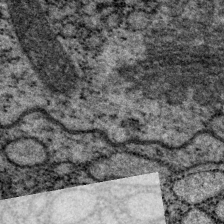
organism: P. pacificus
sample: Pharynx